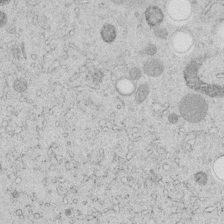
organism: C. elegans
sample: C. elegans embryo early stage